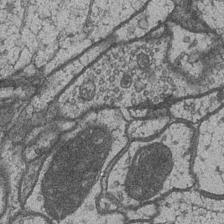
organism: Drosophila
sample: Optic medulla